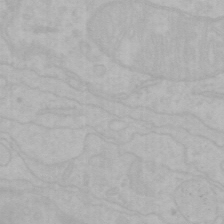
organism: Mouse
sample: Choroid plexus